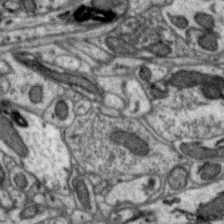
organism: Zebra finch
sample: Brain